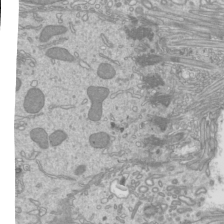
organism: Mouse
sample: Cilia; mouse epididymis